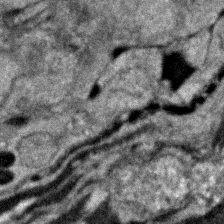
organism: Zebrafish